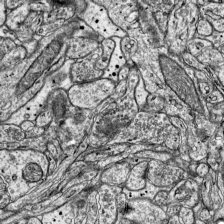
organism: Mouse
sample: Visual Cortex